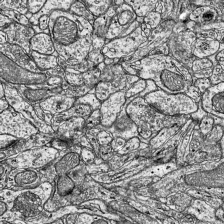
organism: Mouse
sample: Visual Cortex